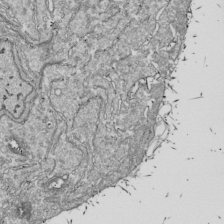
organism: Drosophila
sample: Cell division; meiosis; drosophila spermatocytes